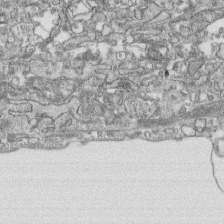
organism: Human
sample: CRL-1474